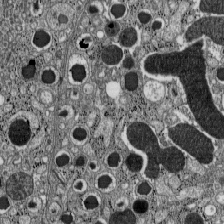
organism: C57BL Mouse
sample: Pancreatic islet